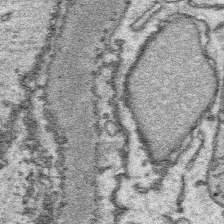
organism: Platynereis dumerilii